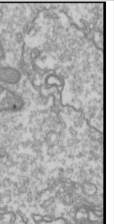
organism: Drosophila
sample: Cell division; meiosis; drosophila spermatocytes